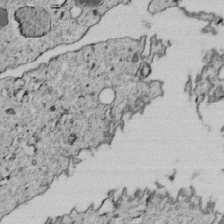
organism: C. elegans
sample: C. elegans embryo early stage